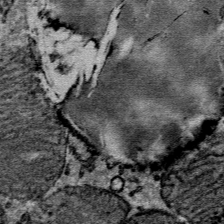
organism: Mouse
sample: Mouse Salivary gland